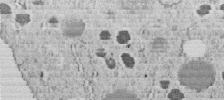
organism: C. elegans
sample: C. elegans embryo early stage